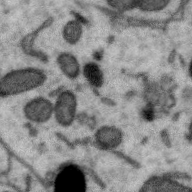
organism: Zebra finch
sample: Brain